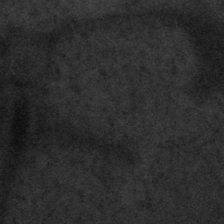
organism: Tuwongella immobilis